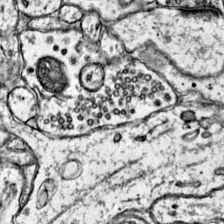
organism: Mouse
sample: Primary visual cortex